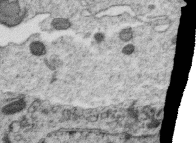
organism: C. elegans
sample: C. elegans oocyte; sperm cells